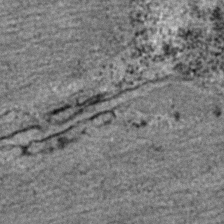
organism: C. elegans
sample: C. elegans embryo